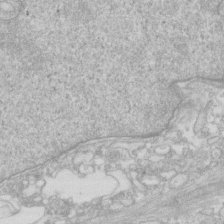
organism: Human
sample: Fibroblast cells